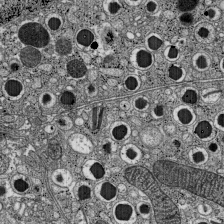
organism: C57BL Mouse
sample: Pancreatic islet